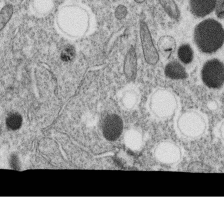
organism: C. elegans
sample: C. elegans oocyte; sperm cells